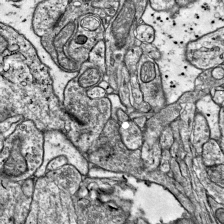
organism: Mouse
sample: Visual Cortex